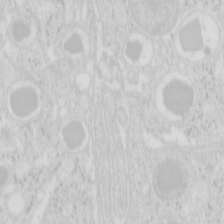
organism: Mouse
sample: Pancreas